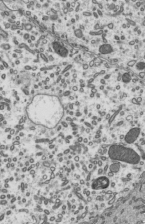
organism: Mouse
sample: Mouse epididymis efferent ductule cilia